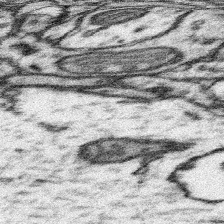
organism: Mouse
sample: Somatosensory cortex neuropil